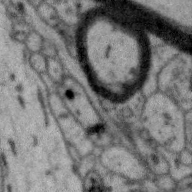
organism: Zebra finch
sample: Brain